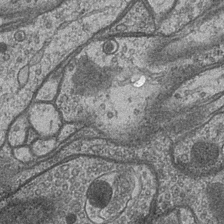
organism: Drosophila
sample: Optic medulla